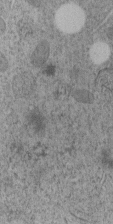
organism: C. elegans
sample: C. elegans embryo early stage